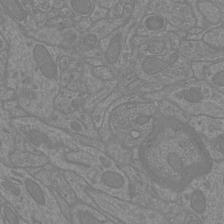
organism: Mouse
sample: Cortical neurons